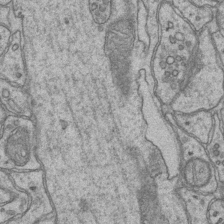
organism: Mouse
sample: CA1 Hippocampus